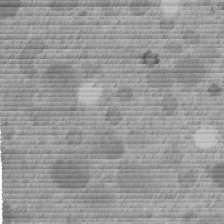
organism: C. elegans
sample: C. elegans embryo early stage